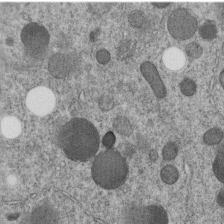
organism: C. elegans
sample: C. elegans embryo early stage